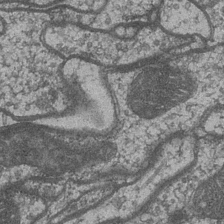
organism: Drosophila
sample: Optic medulla